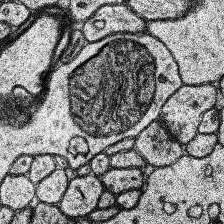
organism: Human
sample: Temporal Lobe